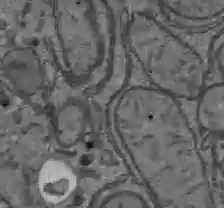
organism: C57BL Mouse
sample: Liver